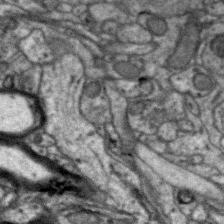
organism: Zebra finch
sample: Brain